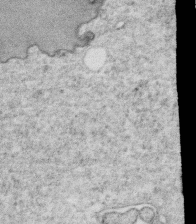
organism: C. elegans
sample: C. elegans oocyte; sperm cells